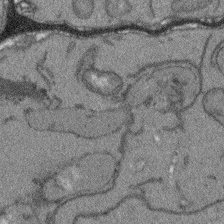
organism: Arabidopsis thaliana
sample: Root tip